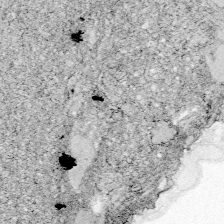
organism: Zebrafish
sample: Whole-Brain